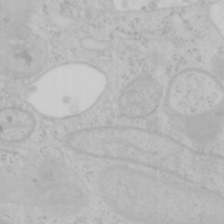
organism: Mouse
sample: OT-I killer T cells with ID8 ovarian cancer cells